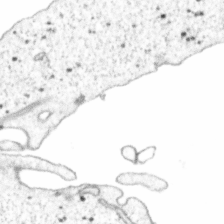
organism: Human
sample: HeLa cells